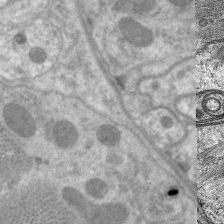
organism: C. elegans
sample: Pharynx